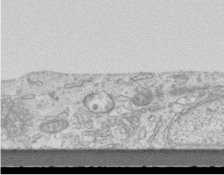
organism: Mouse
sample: Centriole in ependymal cells